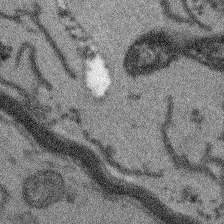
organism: Arabidopsis thaliana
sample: Root tip